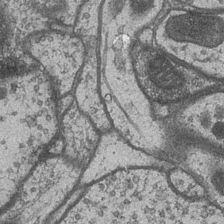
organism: Drosophila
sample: Optic medulla